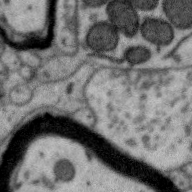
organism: Zebra finch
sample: Brain